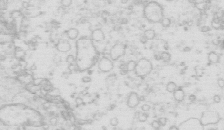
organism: Mouse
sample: Multiciliated cells